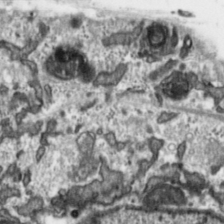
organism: Toxoplasma gondii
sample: Parasites in a vacuole inside a host cell